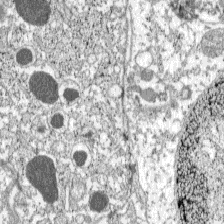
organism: C57BL Mouse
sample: Pancreatic islet